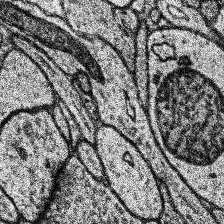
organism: Human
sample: Temporal Lobe